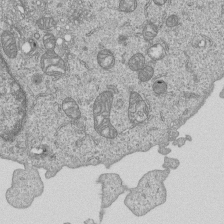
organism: Human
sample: MDA-MB-231 cells